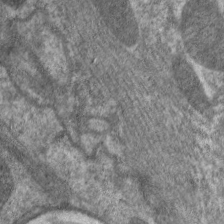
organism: C. elegans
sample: Pharynx